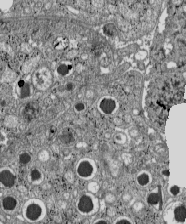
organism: C57BL Mouse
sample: Pancreatic islet